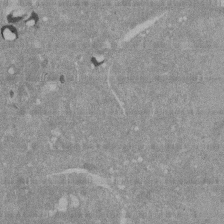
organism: Mouse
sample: ED-1 cell nuclei; centrioles